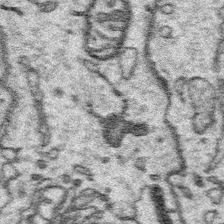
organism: Platynereis dumerilii